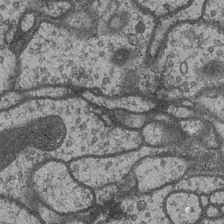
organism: Drosophila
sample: Optic medulla